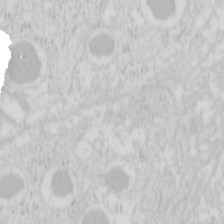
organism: Mouse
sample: Pancreas